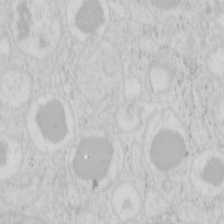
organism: Mouse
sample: Pancreas